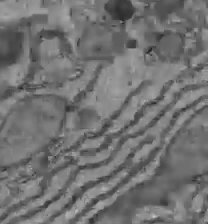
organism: C57BL Mouse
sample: Liver